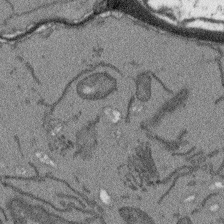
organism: Arabidopsis thaliana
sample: Root tip